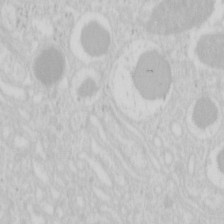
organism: Mouse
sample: Pancreas